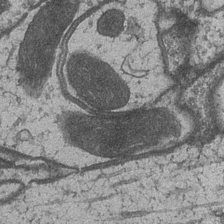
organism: Drosophila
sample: Optic medulla